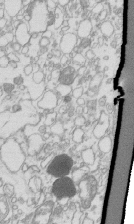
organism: Mouse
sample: Macrophages